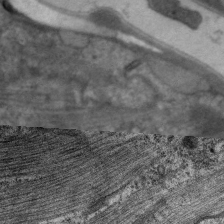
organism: C. elegans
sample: Pharynx